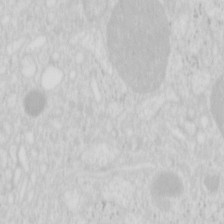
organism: Mouse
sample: Pancreas